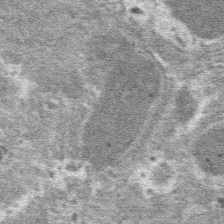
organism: Mouse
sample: Mouse hepatocytes